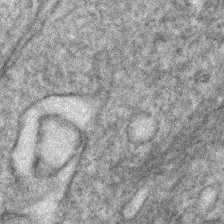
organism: Human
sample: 1205lu cells